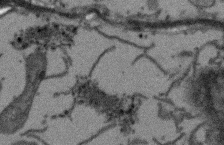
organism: Arabidopsis thaliana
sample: Root tip